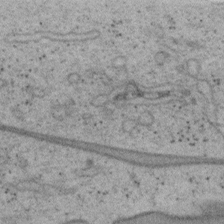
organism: Human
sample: HeLa cells